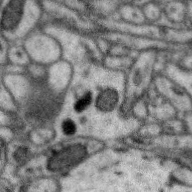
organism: Zebra finch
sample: Brain